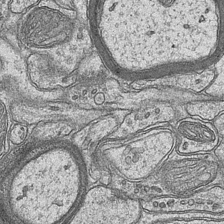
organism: Mouse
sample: CA1 Hippocampus